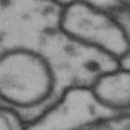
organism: Drosophila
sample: Brain